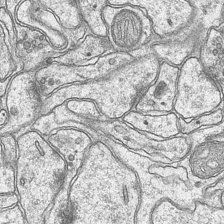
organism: Mouse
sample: CA1 Hippocampus